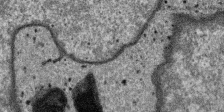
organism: Human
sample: Lung epithelial cells, uninfected (mock) control